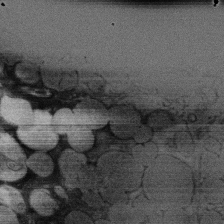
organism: Rat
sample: Salivary granule